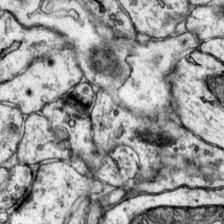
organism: Mouse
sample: Primary visual cortex